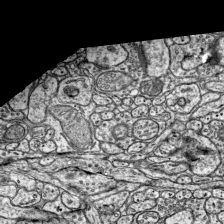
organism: Mouse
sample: Visual Cortex